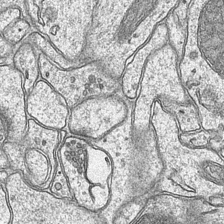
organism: Mouse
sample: CA1 Hippocampus